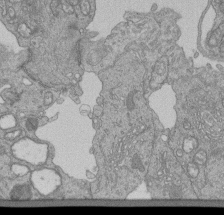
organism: Human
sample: Retinal organoid Rod and Cone cells